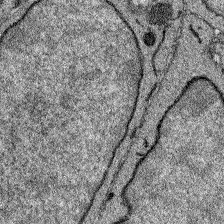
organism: Zebrafish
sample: Larval olfactory bulb